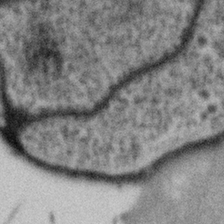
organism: Gemmata obscuriglobus